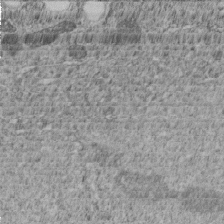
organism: C. elegans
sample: C. elegans embryo early stage